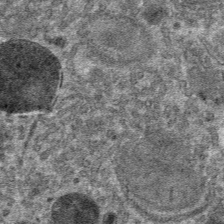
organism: Mouse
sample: Mouse hepatocytes